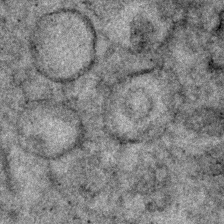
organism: Human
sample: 1205lu cells